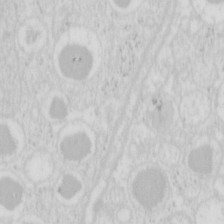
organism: Mouse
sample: Pancreas